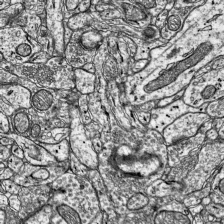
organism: Mouse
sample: Visual Cortex